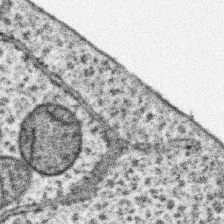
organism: Human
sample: HeLa cells